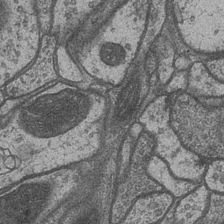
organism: Drosophila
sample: Optic medulla